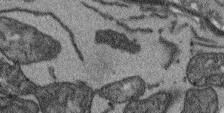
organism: Arabidopsis thaliana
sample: Root tip